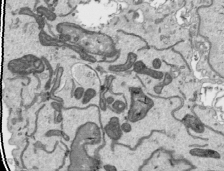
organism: Human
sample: Mitochondria in HCT116 cells